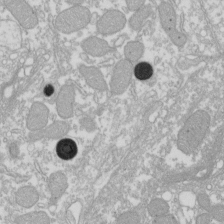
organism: Xenopus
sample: Cilia; centrioles in frog embryo cells